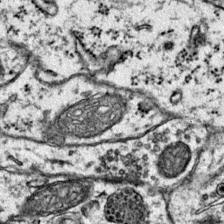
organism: Mouse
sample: Primary visual cortex